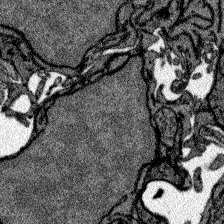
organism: Zebrafish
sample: Larval olfactory bulb